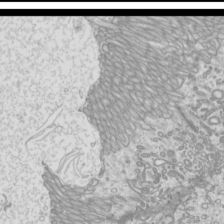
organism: Mouse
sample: Cilia; mouse epididymis